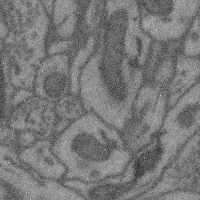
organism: Mouse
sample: Cerebral cortex